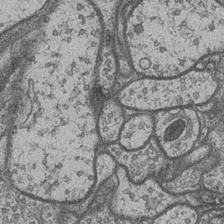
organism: Drosophila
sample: Optic medulla